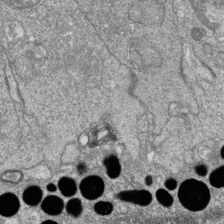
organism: Zebrafish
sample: Cilia; retinal pigment epithelium